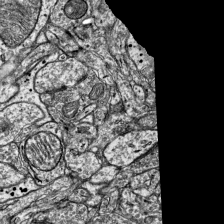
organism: Mouse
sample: Visual Cortex